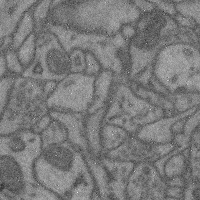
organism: Mouse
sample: Cerebral cortex